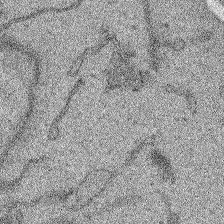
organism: Human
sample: HeLa cells